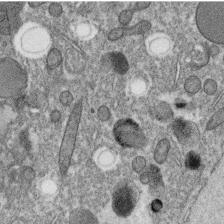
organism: C. elegans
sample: C. elegans oocyte; sperm cells